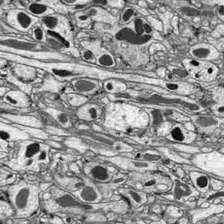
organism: Drosophila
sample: Optic lobe